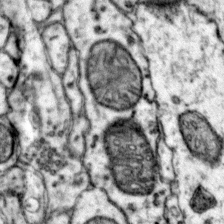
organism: Mouse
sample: Primary visual cortex